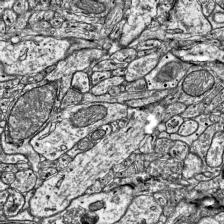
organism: Mouse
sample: Visual Cortex